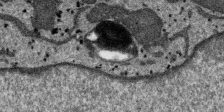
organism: Human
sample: Lung epithelial cells, uninfected (mock) control